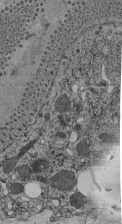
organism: C. elegans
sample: C. elegans pharynx